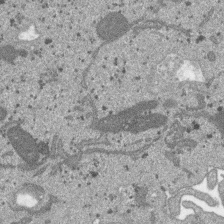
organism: Human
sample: Lung epithelial cells infected with SARS-CoV-2